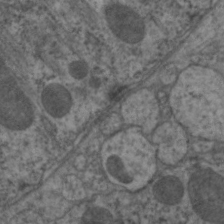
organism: C. elegans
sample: Pharynx